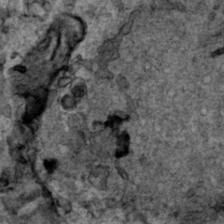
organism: Human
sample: Mitochondria in HCT116 cells